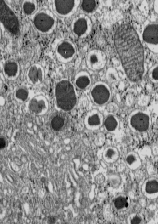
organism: C57BL Mouse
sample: Pancreatic islet